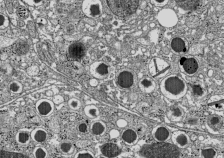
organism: C57BL Mouse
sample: Pancreatic islet